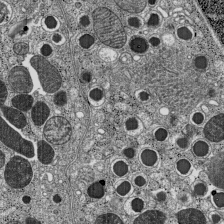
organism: C57BL Mouse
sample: Pancreatic islet